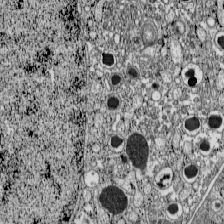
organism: C57BL Mouse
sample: Pancreatic islet